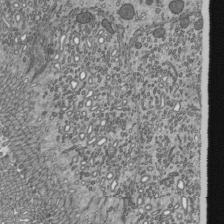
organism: Mouse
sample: Mouse epididymis efferent ductule cilia